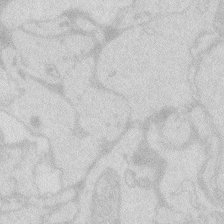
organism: Zebrafish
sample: Macrophage